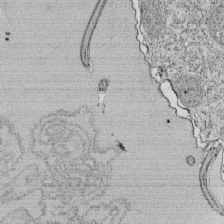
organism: Tetrahymena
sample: Cilia in tetrahymena